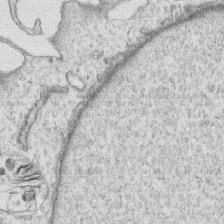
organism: Human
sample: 1205lu cells